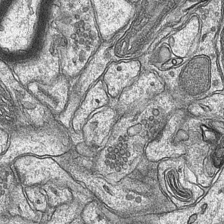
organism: Mouse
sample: CA1 Hippocampus